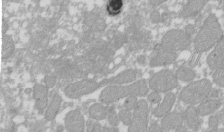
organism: Xenopus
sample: Cilia; centrioles in frog embryo cells